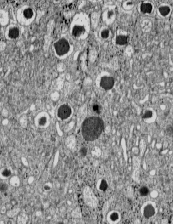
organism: C57BL Mouse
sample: Pancreatic islet